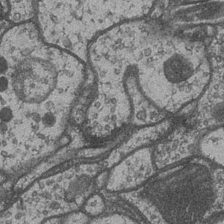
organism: Drosophila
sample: Optic medulla